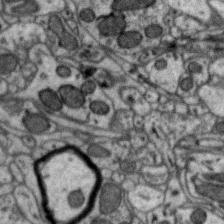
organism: Zebra finch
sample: Brain